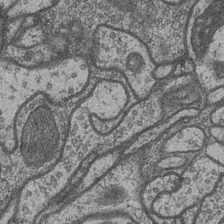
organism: Drosophila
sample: Optic medulla